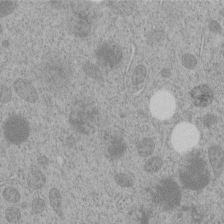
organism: C. elegans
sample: C. elegans embryo early stage